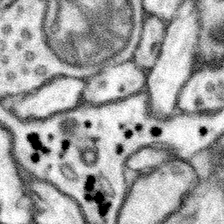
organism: Mouse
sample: Somatosensory cortex neuropil